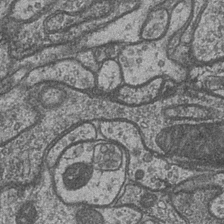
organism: Drosophila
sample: Optic medulla